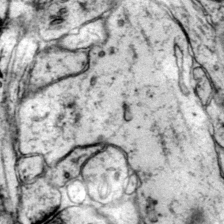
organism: Mouse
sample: Primary visual cortex